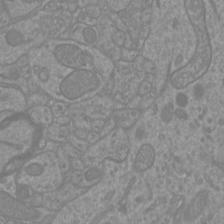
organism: Mouse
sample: Cortical neurons